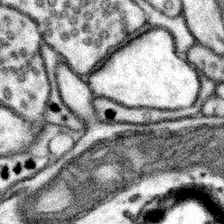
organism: Mouse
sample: Somatosensory cortex neuropil